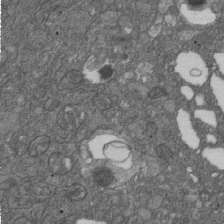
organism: Drosophila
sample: Nephrocyte